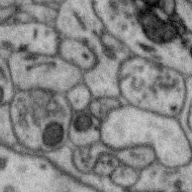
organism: Zebra finch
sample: Brain